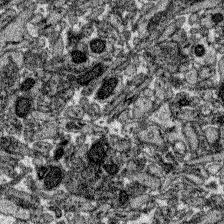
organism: Zebrafish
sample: Larval olfactory bulb